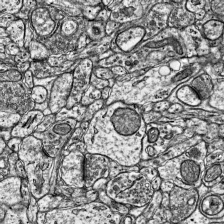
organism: Mouse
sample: Visual Cortex